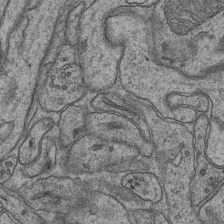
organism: Mouse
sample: CA1 Hippocampus